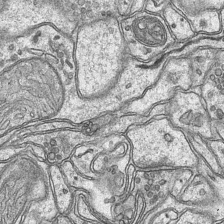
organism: Mouse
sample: CA1 Hippocampus